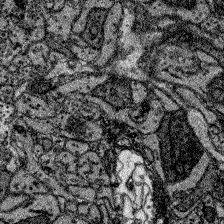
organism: Zebrafish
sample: Larval olfactory bulb